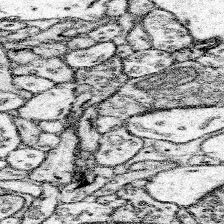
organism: Mouse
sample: Somatosensory cortex neuropil